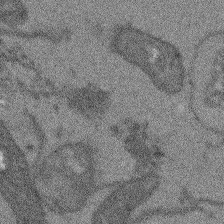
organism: Arabidopsis thaliana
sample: Root tip